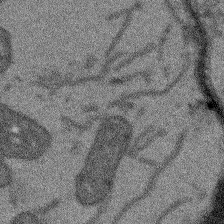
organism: Arabidopsis thaliana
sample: Root tip